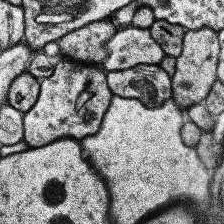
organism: Human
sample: Temporal Lobe